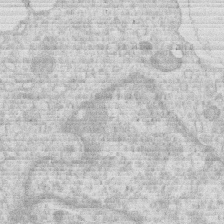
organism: Human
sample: Macrophage cells